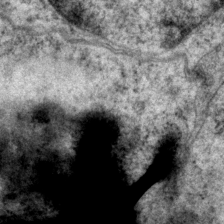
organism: P. pacificus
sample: Pharynx